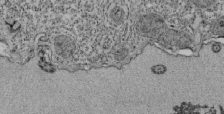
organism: Tetrahymena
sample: Cilia in tetrahymena